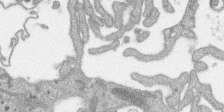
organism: Human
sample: Lung epithelial cells infected with SARS-CoV-2